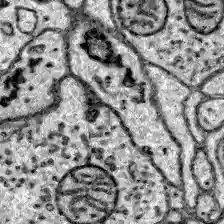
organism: Zebrafish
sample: Brain